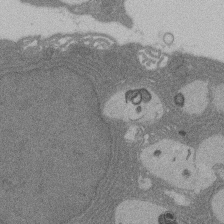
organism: Rat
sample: Salivary granule